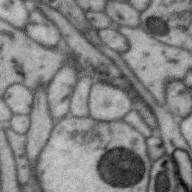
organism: Zebra finch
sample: Brain